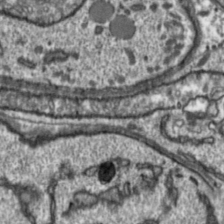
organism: Toxoplasma gondii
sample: Parasites in a vacuole inside a host cell